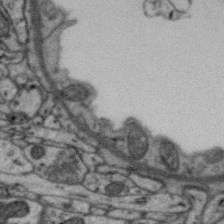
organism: Zebra finch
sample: Brain